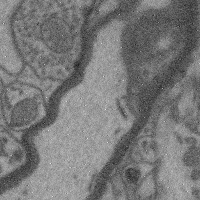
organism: Mouse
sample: Cerebral cortex